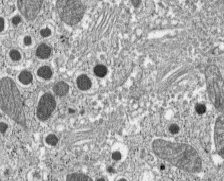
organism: C57BL Mouse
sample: Pancreatic islet